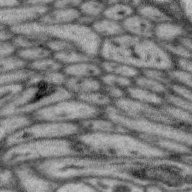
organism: Zebra finch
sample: Brain